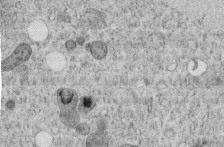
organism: C. elegans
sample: C. elegans embryo early stage